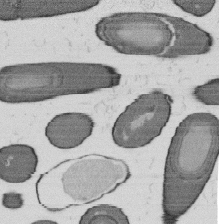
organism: B. subtilis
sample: Bacterial spore